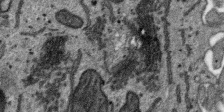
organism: Human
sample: Lung epithelial cells, uninfected (mock) control